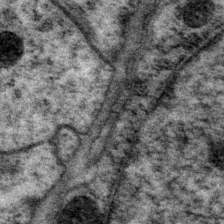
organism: P. pacificus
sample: Pharynx